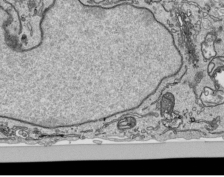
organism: Human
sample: Mitochondria in HCT116 cells